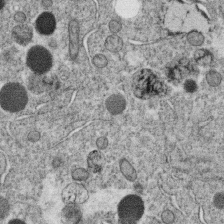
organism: C. elegans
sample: C. elegans oocyte; sperm cells